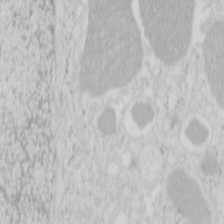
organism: Mouse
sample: Pancreas